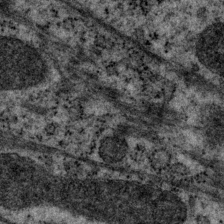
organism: P. pacificus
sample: Pharynx